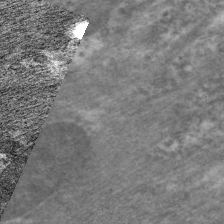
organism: C. elegans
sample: Pharynx